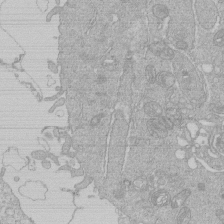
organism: Human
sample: Macrophage cells